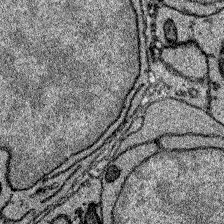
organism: Zebrafish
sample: Larval olfactory bulb